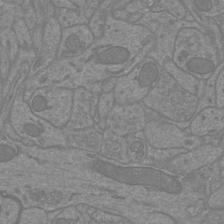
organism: Mouse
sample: Cortical neurons